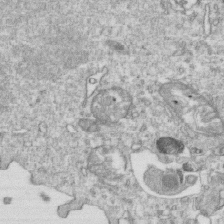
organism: Mouse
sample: Activated OT-1 CD8+ T cells